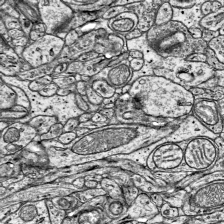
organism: Mouse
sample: Visual Cortex